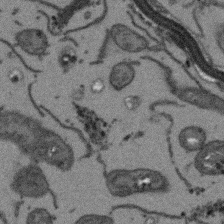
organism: Arabidopsis thaliana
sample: Root tip